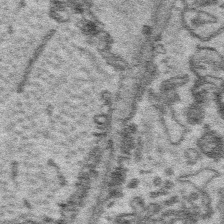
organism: Platynereis dumerilii